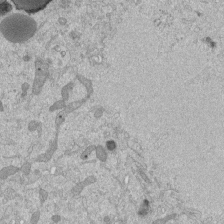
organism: Mouse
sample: ED-1 cell nuclei; centrioles